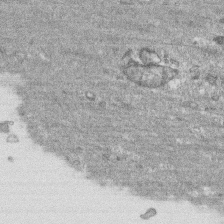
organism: Human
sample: CRL-1474